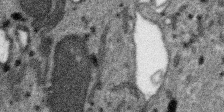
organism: Human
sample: Lung epithelial cells infected with SARS-CoV-2